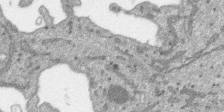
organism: Human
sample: Lung epithelial cells infected with SARS-CoV-2